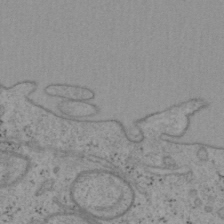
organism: Human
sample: HeLa cells